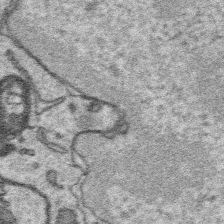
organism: Platynereis dumerilii